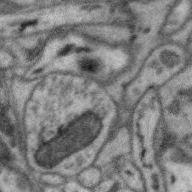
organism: Zebra finch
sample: Brain